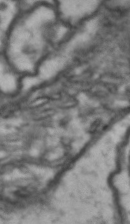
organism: Drosophila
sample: Brain